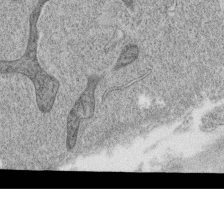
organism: C. elegans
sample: C. elegans oocyte; sperm cells